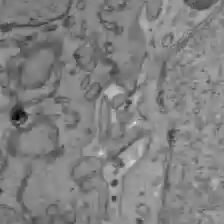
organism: C57BL Mouse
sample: Liver